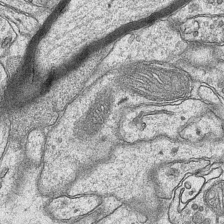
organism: Mouse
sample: CA1 Hippocampus